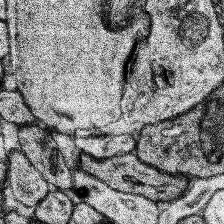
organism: Human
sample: Temporal Lobe